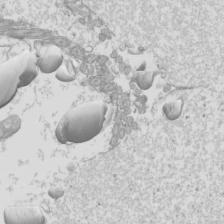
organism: Mouse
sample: Cilia; mouse epididymis